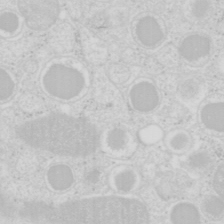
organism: Mouse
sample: Pancreas